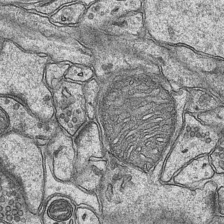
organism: Mouse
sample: CA1 Hippocampus